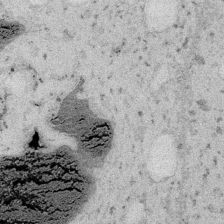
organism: Embia sp.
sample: Silk gland